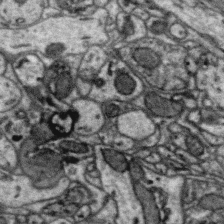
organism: Zebra finch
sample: Brain